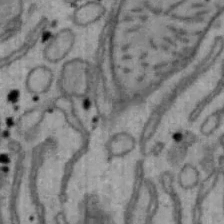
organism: Mouse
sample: Liver